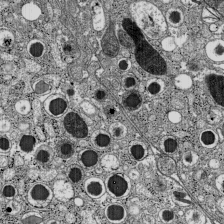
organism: C57BL Mouse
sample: Pancreatic islet